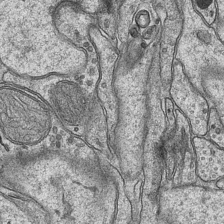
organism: Mouse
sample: CA1 Hippocampus